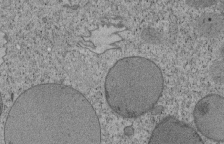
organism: Tetrahymena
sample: Cilia in tetrahymena